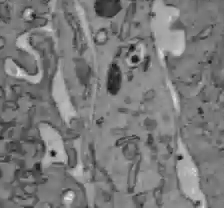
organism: C57BL Mouse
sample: Liver